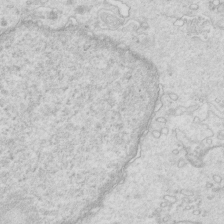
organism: Mouse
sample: Multiciliated cells